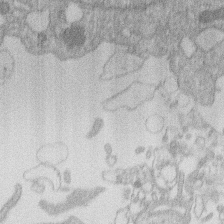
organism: Human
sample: Macrophage cells